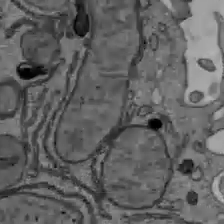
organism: C57BL Mouse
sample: Liver